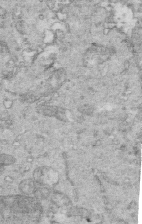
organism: Mouse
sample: Multiciliated cells